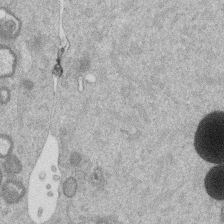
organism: Mouse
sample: Dividing mouse embryo 1 cell stage